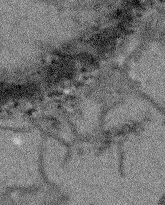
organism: Arabidopsis thaliana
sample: Root tip